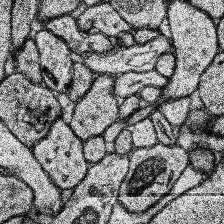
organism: Human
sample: Temporal Lobe